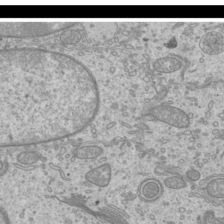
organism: Mouse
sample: Cilia; mouse epididymis